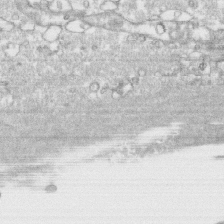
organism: Human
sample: CRL-1474